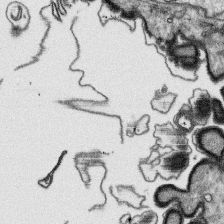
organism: Platynereis dumerilii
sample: Parapodia